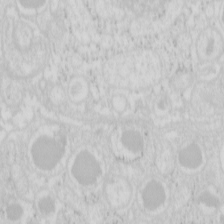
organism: Mouse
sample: Pancreas